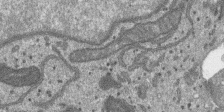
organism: Human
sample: Lung epithelial cells infected with SARS-CoV-2